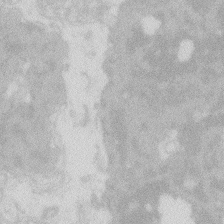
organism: Zebrafish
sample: Macrophage